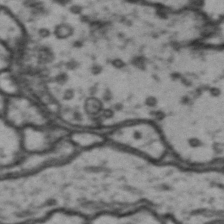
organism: Drosophila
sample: Brain